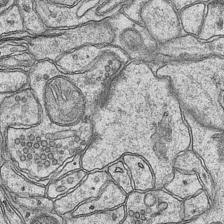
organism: Mouse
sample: CA1 Hippocampus